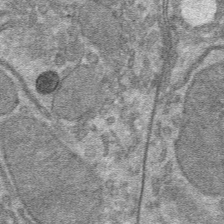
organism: Mouse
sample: Mouse hepatocytes